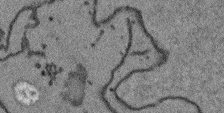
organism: Arabidopsis thaliana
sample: Root tip